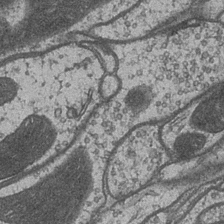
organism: Drosophila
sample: Optic medulla